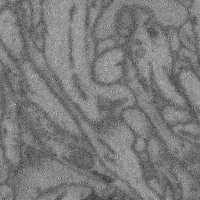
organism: Mouse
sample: Cerebral cortex